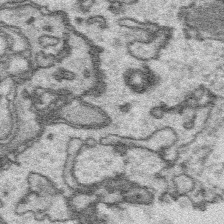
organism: Platynereis dumerilii